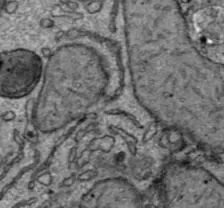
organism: C57BL Mouse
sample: Liver